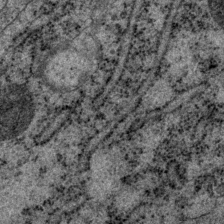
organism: P. pacificus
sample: Pharynx